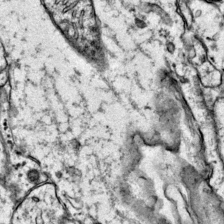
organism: Mouse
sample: Primary visual cortex